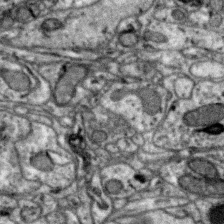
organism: Zebra finch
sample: Brain